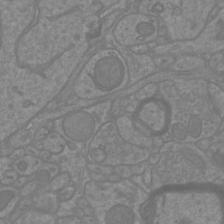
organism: Mouse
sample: Cortical neurons